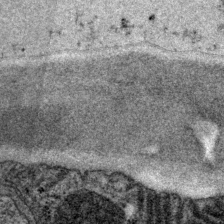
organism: P. pacificus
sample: Pharynx